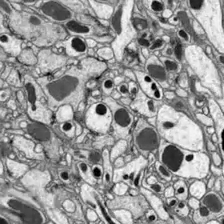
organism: Drosophila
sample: Optic lobe